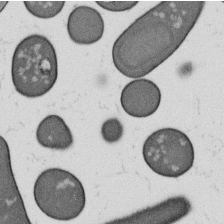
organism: B. subtilis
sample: Bacterial spore